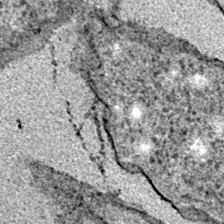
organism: E. coli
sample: E. Coli Bacteria